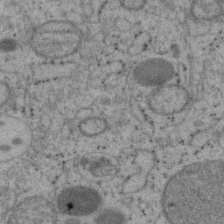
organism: Human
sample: HeLa cells